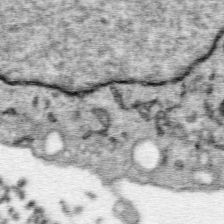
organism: Human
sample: HeLa cells